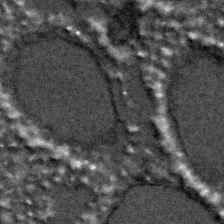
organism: C. elegans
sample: C. elegans embryo